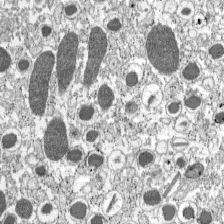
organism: C57BL Mouse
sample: Pancreatic islet